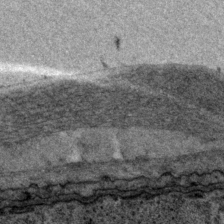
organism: P. pacificus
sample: Pharynx